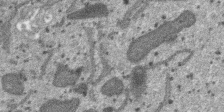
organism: Human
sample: Lung epithelial cells infected with SARS-CoV-2